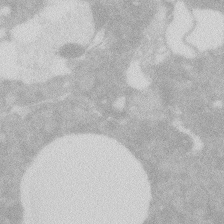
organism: Zebrafish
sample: Macrophage